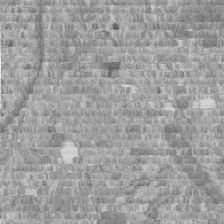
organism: Human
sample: Centriole in fibroblast cells